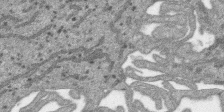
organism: Human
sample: Lung epithelial cells infected with SARS-CoV-2